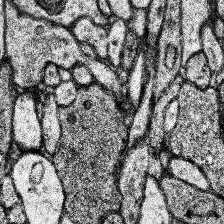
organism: Human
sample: Temporal Lobe